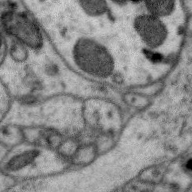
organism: Zebra finch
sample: Brain